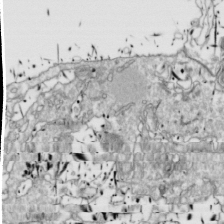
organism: Drosophila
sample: Cell division; meiosis; drosophila spermatocytes